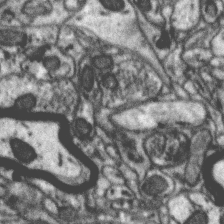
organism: Zebra finch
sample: Brain